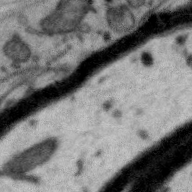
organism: Zebra finch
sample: Brain